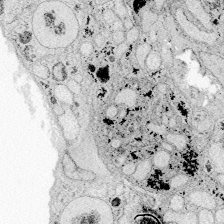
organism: Zebrafish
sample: Whole-Brain